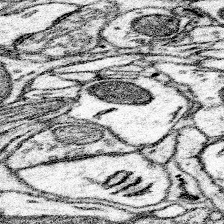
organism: Mouse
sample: Somatosensory cortex neuropil